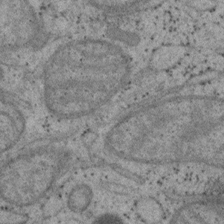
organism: Human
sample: HeLa cells